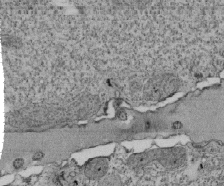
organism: Tetrahymena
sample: Cilia in tetrahymena